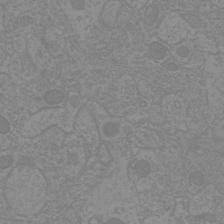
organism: Mouse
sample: Cortical neurons